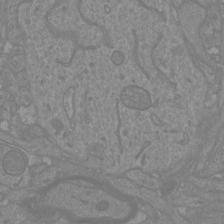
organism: Mouse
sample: Cortical neurons